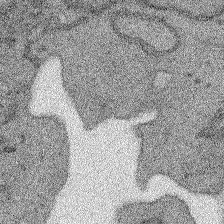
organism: Human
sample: HeLa cells